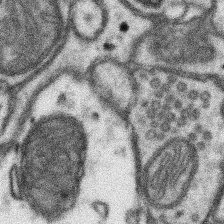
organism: Mouse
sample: Somatosensory cortex neuropil